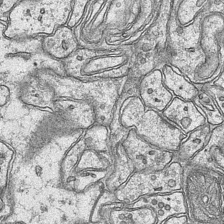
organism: Mouse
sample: CA1 Hippocampus